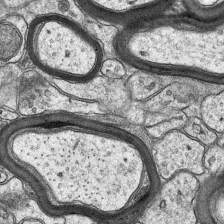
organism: Mouse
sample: CA1 Hippocampus